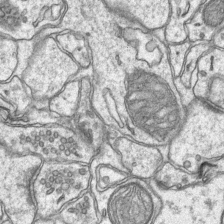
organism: Mouse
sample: CA1 Hippocampus